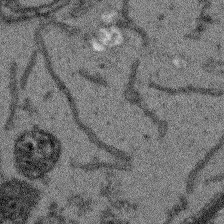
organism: Arabidopsis thaliana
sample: Root tip